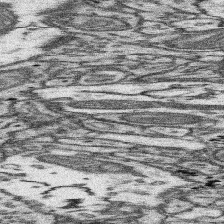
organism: Mouse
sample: Somatosensory cortex neuropil